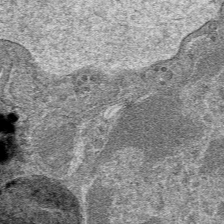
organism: Mouse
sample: Mouse hepatocytes